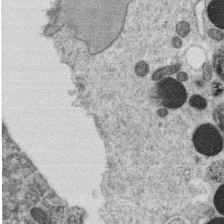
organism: C. elegans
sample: C. elegans oocyte; sperm cells